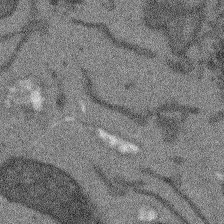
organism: Arabidopsis thaliana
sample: Root tip